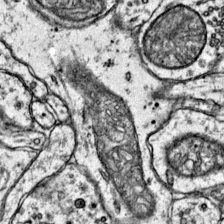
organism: Mouse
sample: Primary visual cortex